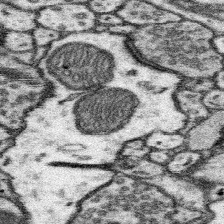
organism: Mouse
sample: Somatosensory cortex neuropil